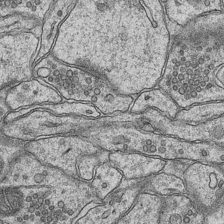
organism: Mouse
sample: CA1 Hippocampus